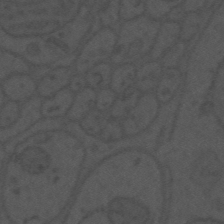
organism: Mouse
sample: Suprachiasmatic nucleus